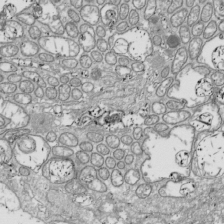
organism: Drosophila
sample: Cell division; meiosis; drosophila spermatocytes